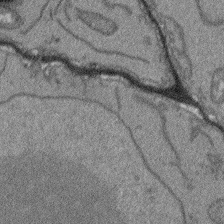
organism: Arabidopsis thaliana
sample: Root tip